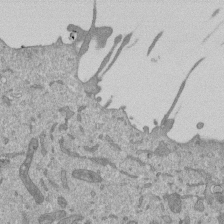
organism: Mouse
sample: ED-1 cell nuclei; centrioles